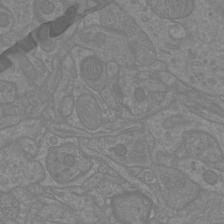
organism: Mouse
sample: Cortical neurons